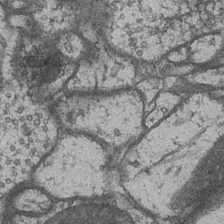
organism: Drosophila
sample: Optic medulla